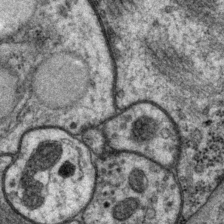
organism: P. pacificus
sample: Pharynx